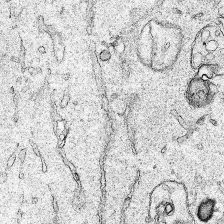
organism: Human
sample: Mitochondria in HCT116 cells